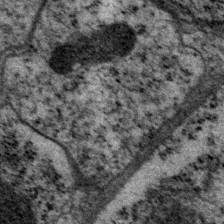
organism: P. pacificus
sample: Pharynx